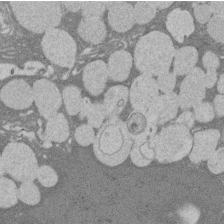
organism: Rat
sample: Salivary granule